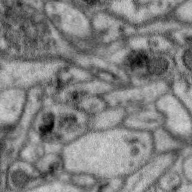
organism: Zebra finch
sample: Brain